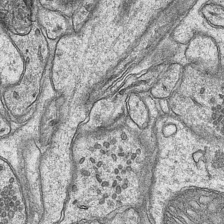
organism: Mouse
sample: CA1 Hippocampus